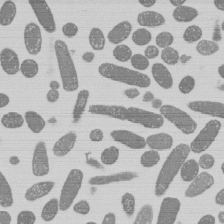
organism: E. coli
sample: Bacterial nucleoid